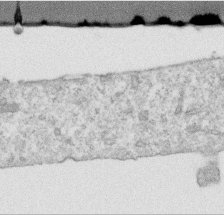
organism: Human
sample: Centriole in RPE cells